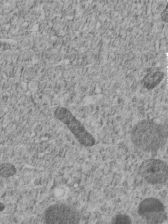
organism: C. elegans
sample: C. elegans embryo early stage